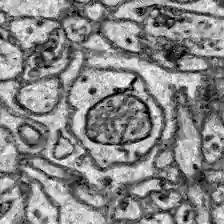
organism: Zebrafish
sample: Brain